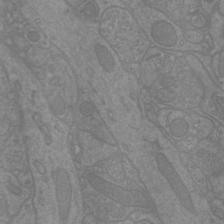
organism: Mouse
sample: Cortical neurons